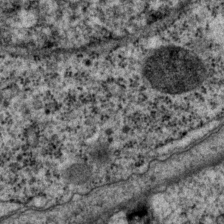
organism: P. pacificus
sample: Pharynx